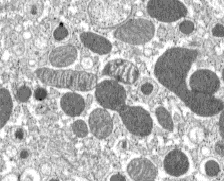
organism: C57BL Mouse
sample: Pancreatic islet